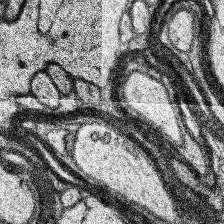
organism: Human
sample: Temporal Lobe